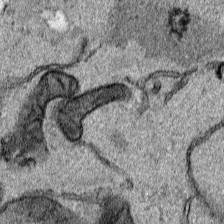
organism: Human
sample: Mitochondria in HCT116 cells